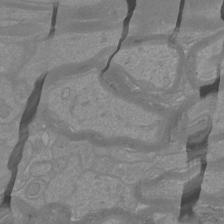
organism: Mouse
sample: Cortical neurons